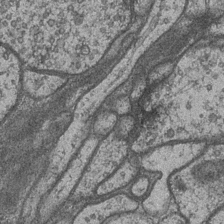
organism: Drosophila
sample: Optic medulla